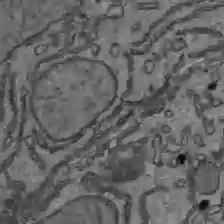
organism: C57BL Mouse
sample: Liver